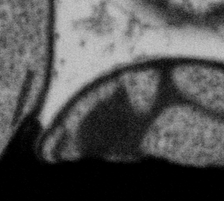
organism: Gemmata obscuriglobus